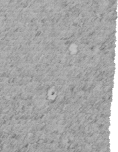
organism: C. elegans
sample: C. elegans embryo early stage